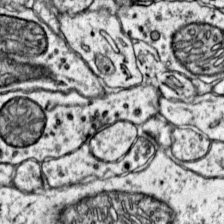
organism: Mouse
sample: Primary visual cortex